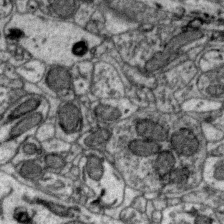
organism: Zebra finch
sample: Brain